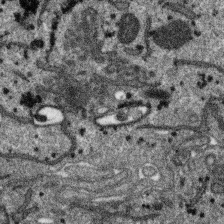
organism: Human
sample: Lung epithelial cells infected with SARS-CoV-2